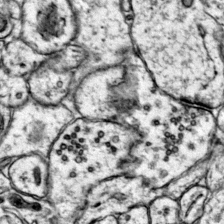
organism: Mouse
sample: Primary visual cortex